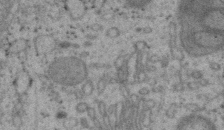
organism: Human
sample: HeLa cells